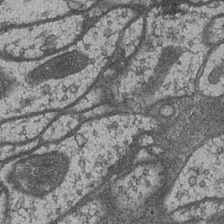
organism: Drosophila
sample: Optic medulla